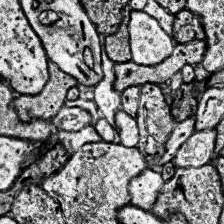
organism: Human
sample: Temporal Lobe